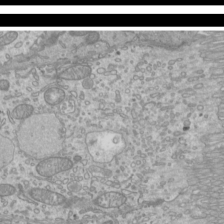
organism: Mouse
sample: Cilia; mouse epididymis